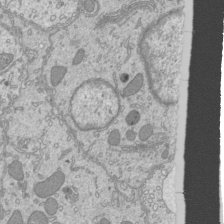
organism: Mouse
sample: Cilia; mouse epididymis